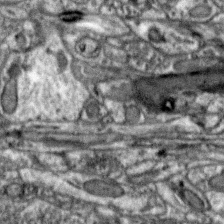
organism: Zebra finch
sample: Brain